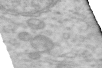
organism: Human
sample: Centriole in RPE cells